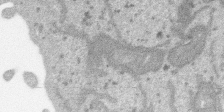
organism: Human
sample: Lung epithelial cells infected with SARS-CoV-2